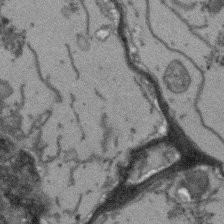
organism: Arabidopsis thaliana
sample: Root tip